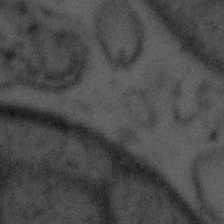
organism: Tuwongella immobilis